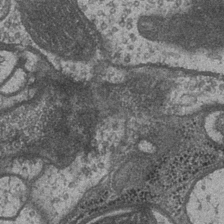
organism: Drosophila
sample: Optic medulla